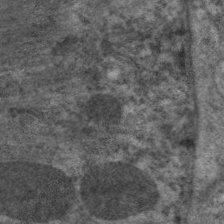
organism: C. elegans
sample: Pharynx